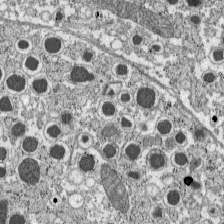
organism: C57BL Mouse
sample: Pancreatic islet